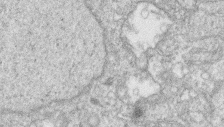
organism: Human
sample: HeLa cell HIV synapse